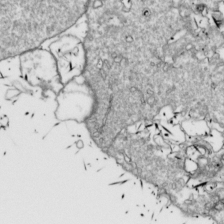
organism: Drosophila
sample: Cell division; meiosis; drosophila spermatocytes